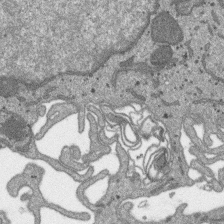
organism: Human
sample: Lung epithelial cells infected with SARS-CoV-2